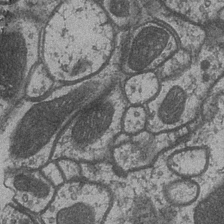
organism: Drosophila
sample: Optic medulla